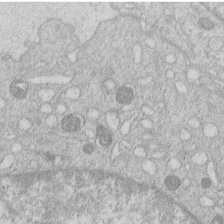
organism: Human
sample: Macrophage cells